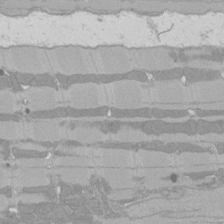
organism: Rat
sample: Left ventricle